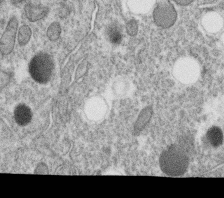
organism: C. elegans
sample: C. elegans oocyte; sperm cells